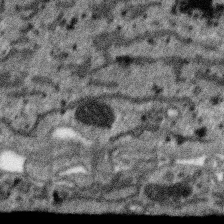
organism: Human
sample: Lung epithelial cells infected with SARS-CoV-2